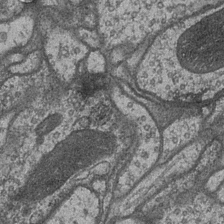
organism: Drosophila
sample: Optic medulla